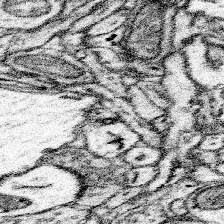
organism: Mouse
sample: Somatosensory cortex neuropil